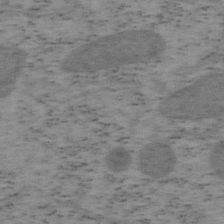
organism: Mouse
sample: OT-I killer T cells with ID8 ovarian cancer cells